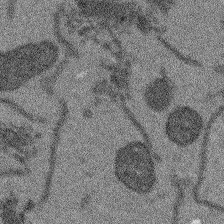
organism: Arabidopsis thaliana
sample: Root tip